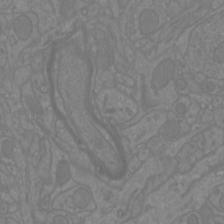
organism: Mouse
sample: Cortical neurons